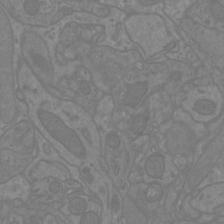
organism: Mouse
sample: Cortical neurons